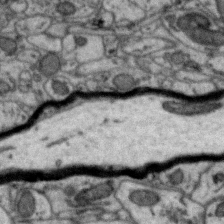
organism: Zebra finch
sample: Brain